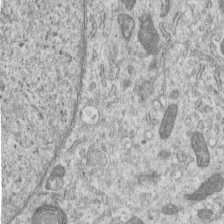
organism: Human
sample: Centriole in RPE cells